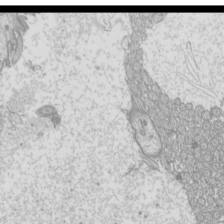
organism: Mouse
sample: Cilia; mouse epididymis